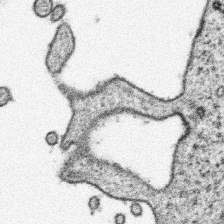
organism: Human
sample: HeLa cells